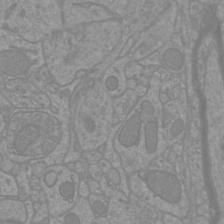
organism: Mouse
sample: Cortical neurons